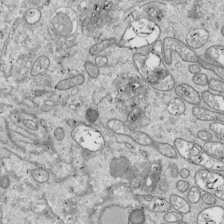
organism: Drosophila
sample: Cell division; meiosis; drosophila spermatocytes